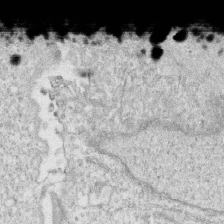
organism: Human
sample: HeLa cell HIV synapse